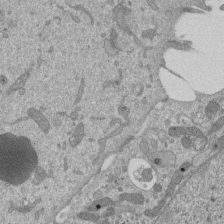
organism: Mouse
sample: ED-1 cell nuclei; centrioles